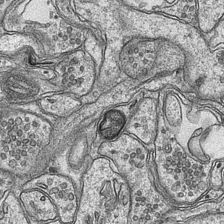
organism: Mouse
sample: CA1 Hippocampus